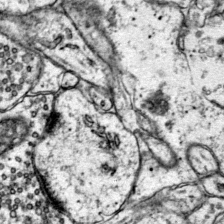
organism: Mouse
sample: Primary visual cortex